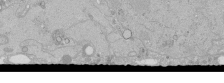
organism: Human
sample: Caco-2 cells